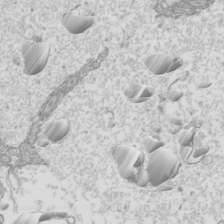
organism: Mouse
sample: Cilia; mouse epididymis